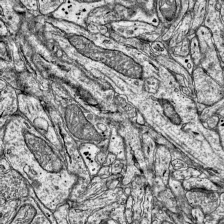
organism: Mouse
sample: Visual Cortex